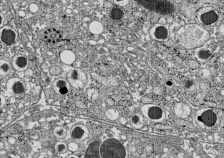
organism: C57BL Mouse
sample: Pancreatic islet